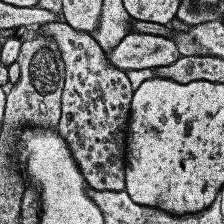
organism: Human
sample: Temporal Lobe